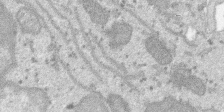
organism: Human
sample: Lung epithelial cells infected with SARS-CoV-2